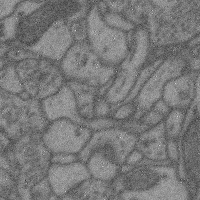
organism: Mouse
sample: Cerebral cortex